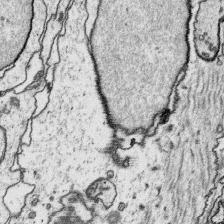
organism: Platynereis dumerilii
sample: Parapodia